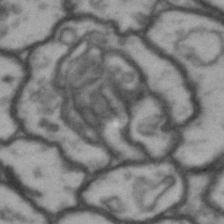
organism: Drosophila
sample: Brain